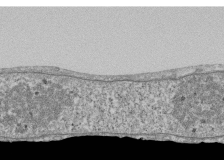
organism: Human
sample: Fibroblast cells